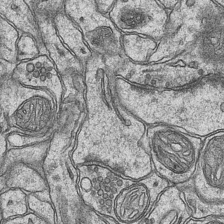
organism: Mouse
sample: CA1 Hippocampus